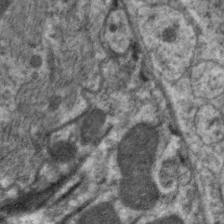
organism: C. elegans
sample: Pharynx